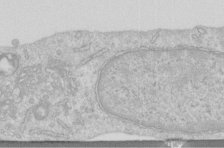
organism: Human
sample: Centriole in RPE cells